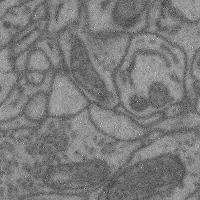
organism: Mouse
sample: Cerebral cortex